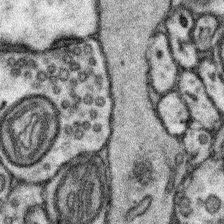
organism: Mouse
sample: Somatosensory cortex neuropil